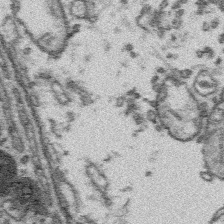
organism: Platynereis dumerilii